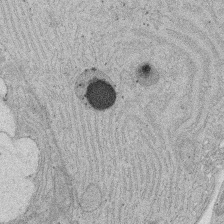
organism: Rat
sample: Salivary granule